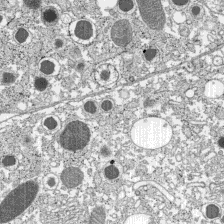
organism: C57BL Mouse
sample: Pancreatic islet